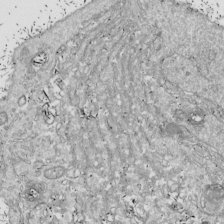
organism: Drosophila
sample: Cell division; meiosis; drosophila spermatocytes